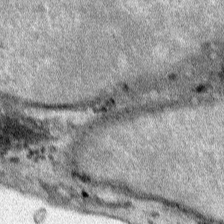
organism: Human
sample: Mitochondria in HCT116 cells